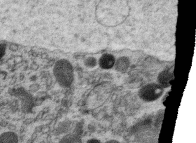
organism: C. elegans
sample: C. elegans oocyte; sperm cells